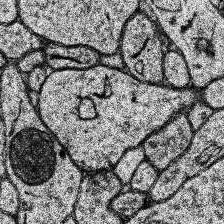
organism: Human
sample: Temporal Lobe